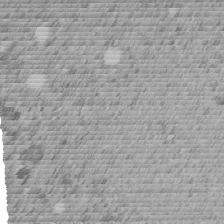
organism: C. elegans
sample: C. elegans embryo early stage